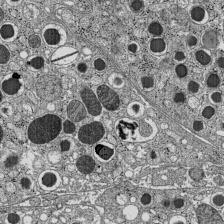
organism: C57BL Mouse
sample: Pancreatic islet